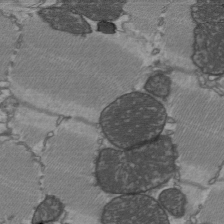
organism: C57BL Mouse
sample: Heart